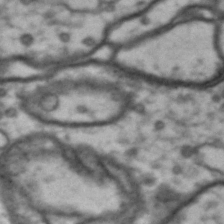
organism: Drosophila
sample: Brain